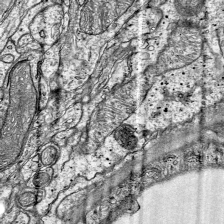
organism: Mouse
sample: Visual Cortex